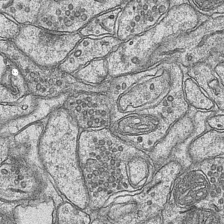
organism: Mouse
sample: CA1 Hippocampus